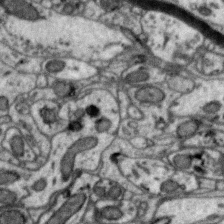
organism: Zebra finch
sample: Brain